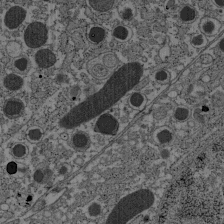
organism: C57BL Mouse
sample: Pancreatic islet